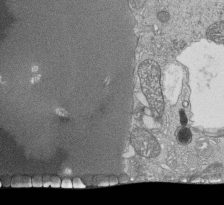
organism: Tetrahymena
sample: Cilia in tetrahymena